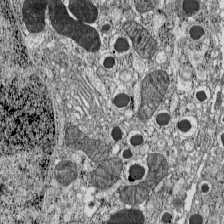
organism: C57BL Mouse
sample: Pancreatic islet